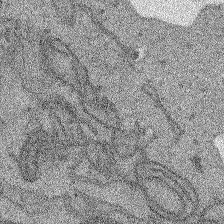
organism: Human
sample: HeLa cells